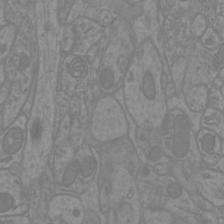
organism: Mouse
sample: Cortical neurons